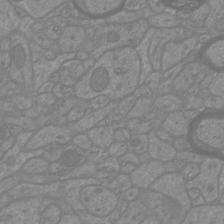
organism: Mouse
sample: Cortical neurons